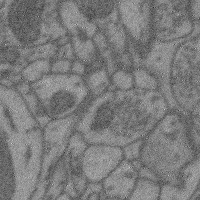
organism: Mouse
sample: Cerebral cortex